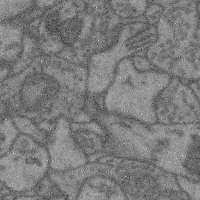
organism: Mouse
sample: Cerebral cortex